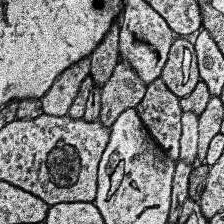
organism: Human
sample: Temporal Lobe